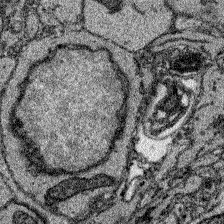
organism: Zebrafish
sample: Larval olfactory bulb